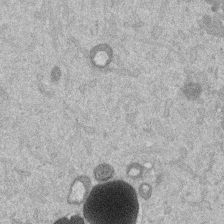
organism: Mouse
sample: Dividing mouse embryo 1 cell stage